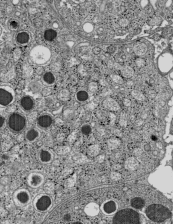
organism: C57BL Mouse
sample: Pancreatic islet